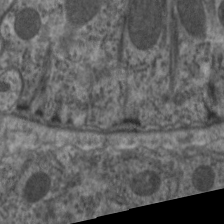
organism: C. elegans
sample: Pharynx